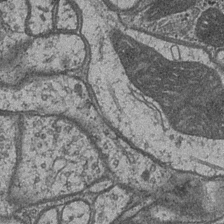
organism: Drosophila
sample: Optic medulla